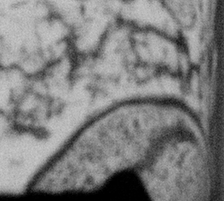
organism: Gemmata obscuriglobus